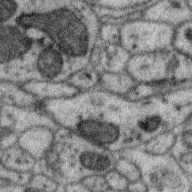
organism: Zebra finch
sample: Brain